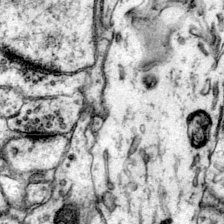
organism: Mouse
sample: Primary visual cortex